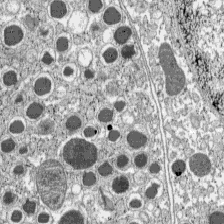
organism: C57BL Mouse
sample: Pancreatic islet